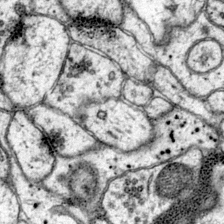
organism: Mouse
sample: Primary visual cortex